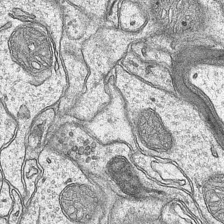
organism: Mouse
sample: CA1 Hippocampus